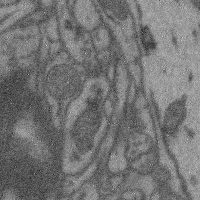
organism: Mouse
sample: Cerebral cortex